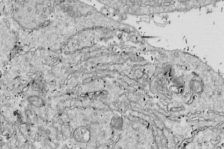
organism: Drosophila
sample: Cell division; meiosis; drosophila spermatocytes